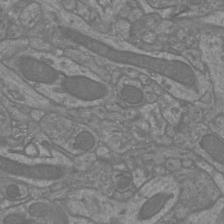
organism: Mouse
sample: Cortical neurons